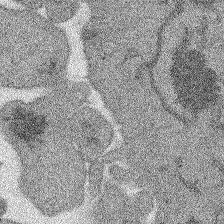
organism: Human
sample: HeLa cells